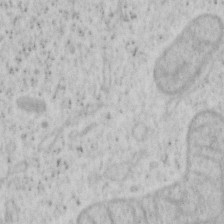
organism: Human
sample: HeLa cells